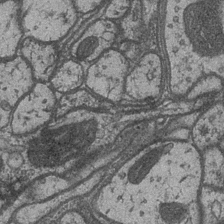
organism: Drosophila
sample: Optic medulla